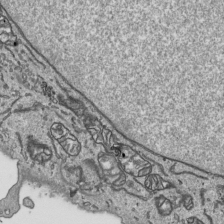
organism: Human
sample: Mitochondria in HCT116 cells